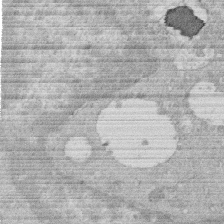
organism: Human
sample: Macrophage cells